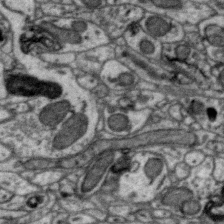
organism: Zebra finch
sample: Brain